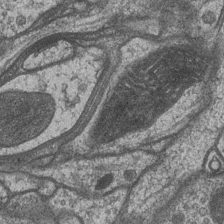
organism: Drosophila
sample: Optic medulla